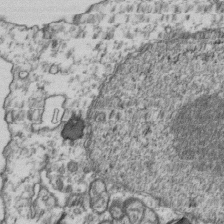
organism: Human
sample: Activated Jurkat CD4+ T cells